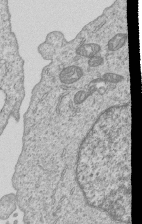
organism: Human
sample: MDA-MB-231 cells